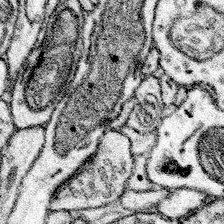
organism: Mouse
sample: Somatosensory cortex neuropil